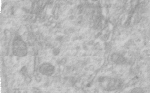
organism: Human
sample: Centriole in RPE cells